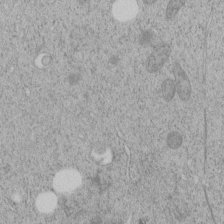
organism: C. elegans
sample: C. elegans embryo early stage